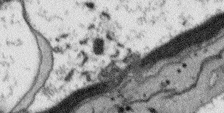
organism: Arabidopsis thaliana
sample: Root tip